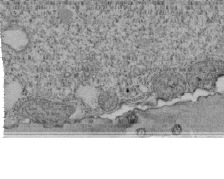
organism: Tetrahymena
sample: Cilia in tetrahymena